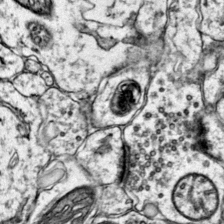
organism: Mouse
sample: Primary visual cortex